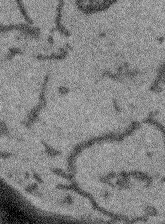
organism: Arabidopsis thaliana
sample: Root tip